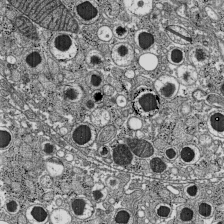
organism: C57BL Mouse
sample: Pancreatic islet